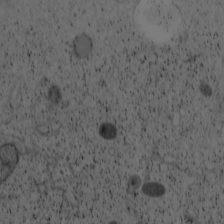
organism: African green monkey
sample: COS-7 cells